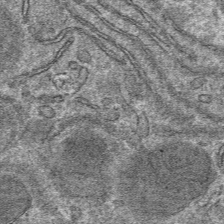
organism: Mouse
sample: Mouse hepatocytes